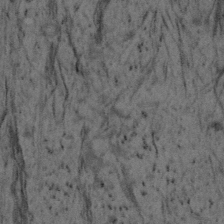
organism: Human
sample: HeLa cells